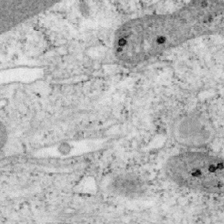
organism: Mouse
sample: OT-I killer T cells with ID8 ovarian cancer cells